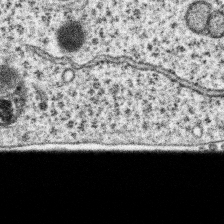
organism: Human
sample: HeLa cells